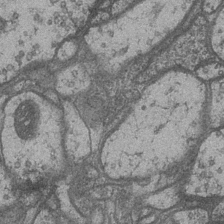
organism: Drosophila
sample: Optic medulla